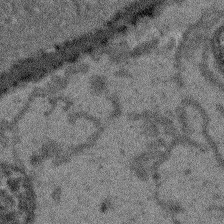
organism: Arabidopsis thaliana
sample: Root tip